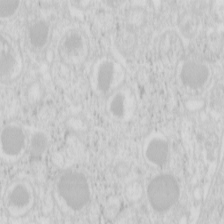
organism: Mouse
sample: Pancreas